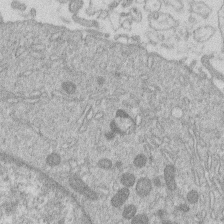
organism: Human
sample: Macrophage cells